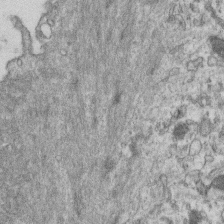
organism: Mouse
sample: Centriole in ependymal cells